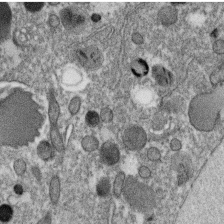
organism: C. elegans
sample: C. elegans oocyte; sperm cells